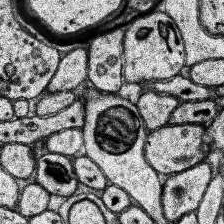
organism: Human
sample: Temporal Lobe